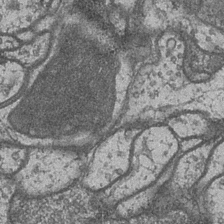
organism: Drosophila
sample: Optic medulla